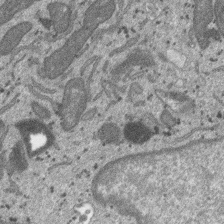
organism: Human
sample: Lung epithelial cells infected with SARS-CoV-2